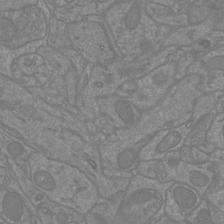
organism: Mouse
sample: Cortical neurons